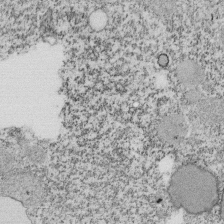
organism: Tetrahymena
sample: Cilia in tetrahymena